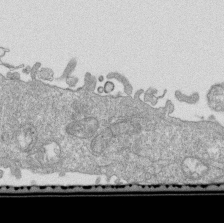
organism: Human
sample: HeLa cell HIV synapse